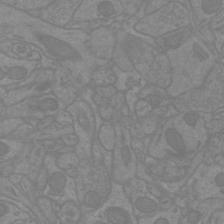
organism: Mouse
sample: Cortical neurons